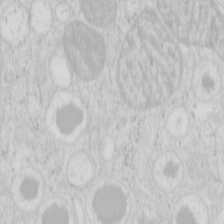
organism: Mouse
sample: Pancreas